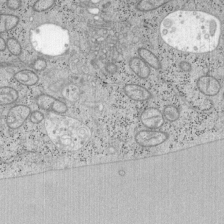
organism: Mouse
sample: OT-I killer T cells with ID8 ovarian cancer cells